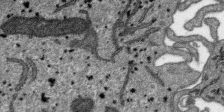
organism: Human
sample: Lung epithelial cells, uninfected (mock) control